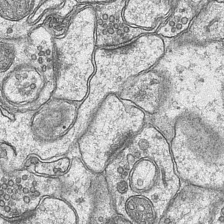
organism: Mouse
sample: CA1 Hippocampus